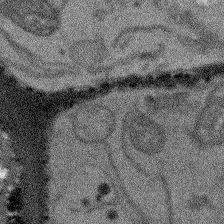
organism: Arabidopsis thaliana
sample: Root tip